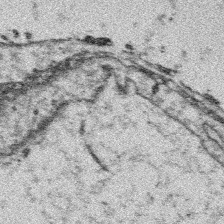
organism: Platynereis dumerilii